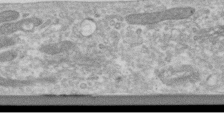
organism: Human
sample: Centriole in RPE cells